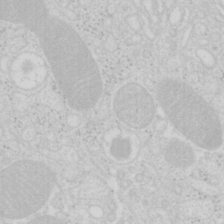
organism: Mouse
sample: Pancreas